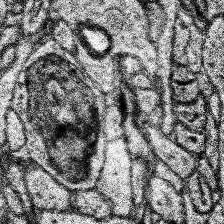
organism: Human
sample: Temporal Lobe